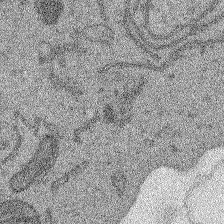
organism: Human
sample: HeLa cells